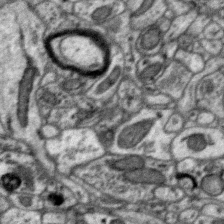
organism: Zebra finch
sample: Brain